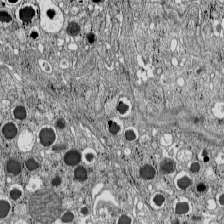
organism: C57BL Mouse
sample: Pancreatic islet